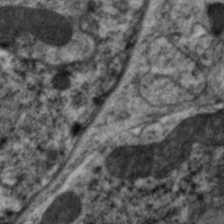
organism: C. elegans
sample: Pharynx